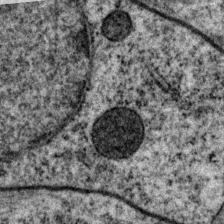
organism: P. pacificus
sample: Pharynx